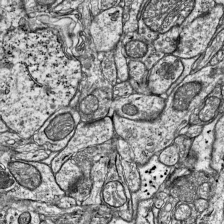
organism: Mouse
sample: Visual Cortex